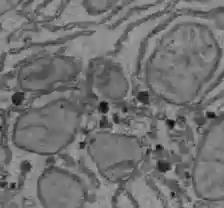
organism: C57BL Mouse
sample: Liver